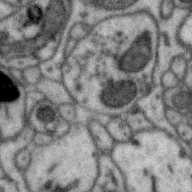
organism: Zebra finch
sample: Brain